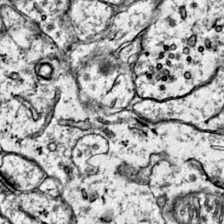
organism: Mouse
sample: Primary visual cortex